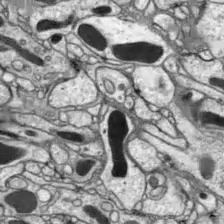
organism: Drosophila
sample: Optic lobe